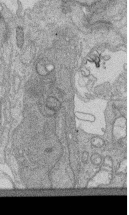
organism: Human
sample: Retinal organoid Rod and Cone cells